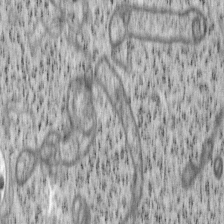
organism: Human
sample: HeLa cells